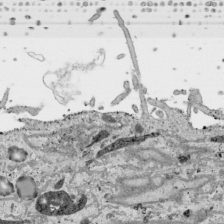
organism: Human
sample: Mitochondria in HCT116 cells